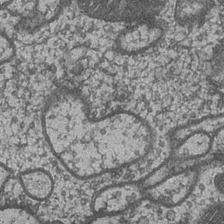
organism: Drosophila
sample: Optic medulla